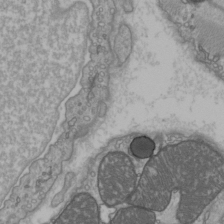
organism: C57BL Mouse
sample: Heart